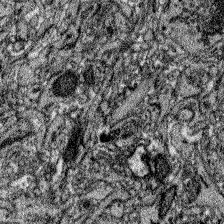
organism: Zebrafish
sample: Larval olfactory bulb